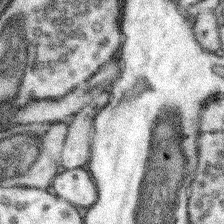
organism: Mouse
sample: Somatosensory cortex neuropil